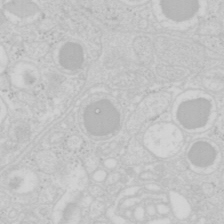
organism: Mouse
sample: Pancreas